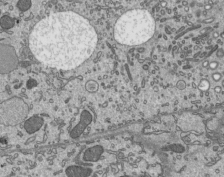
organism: Mouse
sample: Mouse epididymis efferent ductule cilia